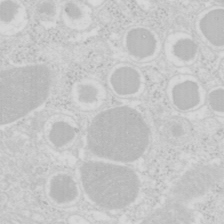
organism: Mouse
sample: Pancreas